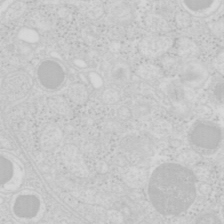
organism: Mouse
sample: Pancreas